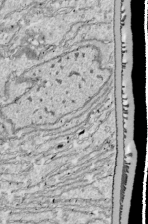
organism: Drosophila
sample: Cell division; meiosis; drosophila spermatocytes